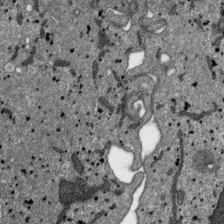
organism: Human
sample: Lung epithelial cells, uninfected (mock) control